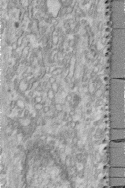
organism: Human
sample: Centriole in fibroblast cells